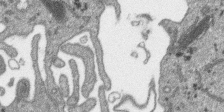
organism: Human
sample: Lung epithelial cells infected with SARS-CoV-2